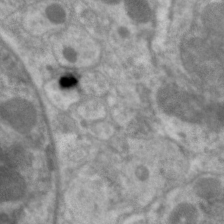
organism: C. elegans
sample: Pharynx